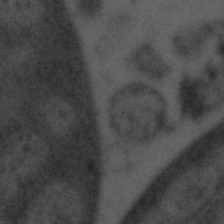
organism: Tuwongella immobilis